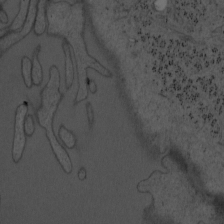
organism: Mouse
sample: OT-I killer T cells with ID8 ovarian cancer cells